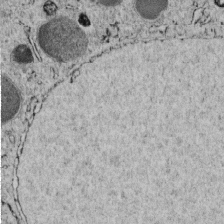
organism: C. elegans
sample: C. elegans embryo early stage